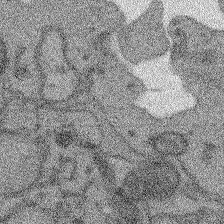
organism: Human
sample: HeLa cells